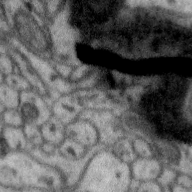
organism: Zebra finch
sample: Brain